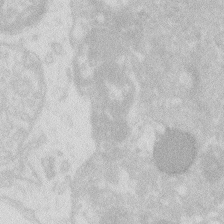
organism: Zebrafish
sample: Macrophage